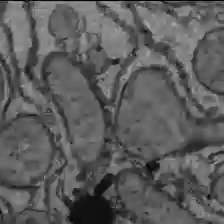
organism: C57BL Mouse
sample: Liver